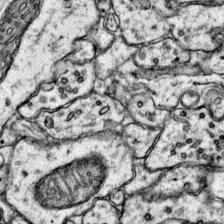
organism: Mouse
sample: Primary visual cortex